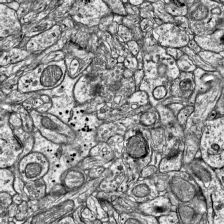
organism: Mouse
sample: Visual Cortex